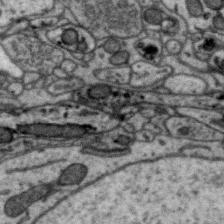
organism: Zebra finch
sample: Brain